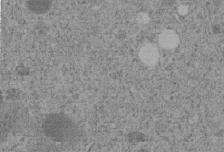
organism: C. elegans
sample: C. elegans embryo early stage